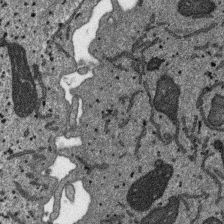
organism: Human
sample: Lung epithelial cells infected with SARS-CoV-2